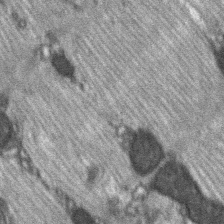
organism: C57BL Mouse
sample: Soleus